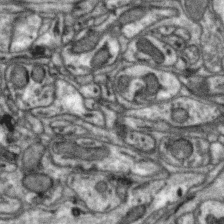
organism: Zebra finch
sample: Brain